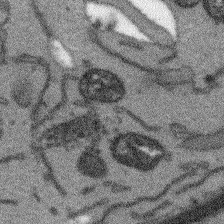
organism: Arabidopsis thaliana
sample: Root tip